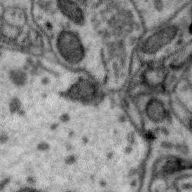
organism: Zebra finch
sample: Brain